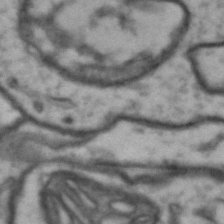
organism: Drosophila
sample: Brain